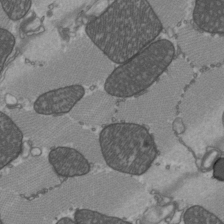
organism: C57BL Mouse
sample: Heart